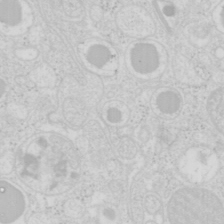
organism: Mouse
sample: Pancreas